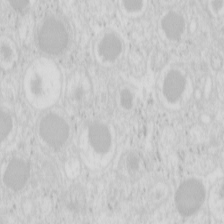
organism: Mouse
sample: Pancreas